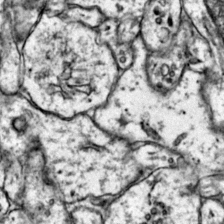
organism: Mouse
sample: Primary visual cortex